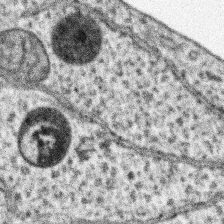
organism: Human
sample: HeLa cells